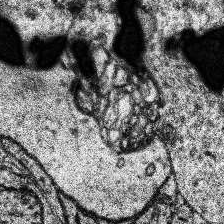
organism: Human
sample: Temporal Lobe